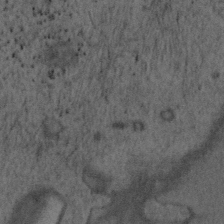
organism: Human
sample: HeLa cells